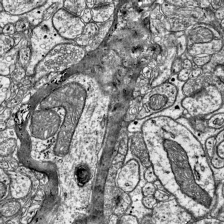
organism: Mouse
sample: Visual Cortex